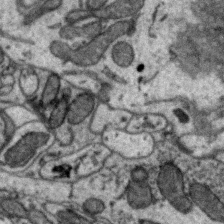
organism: Zebra finch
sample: Brain